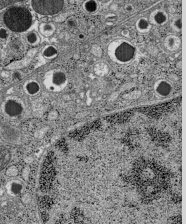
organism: C57BL Mouse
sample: Pancreatic islet